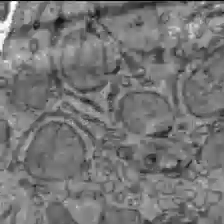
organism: C57BL Mouse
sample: Liver